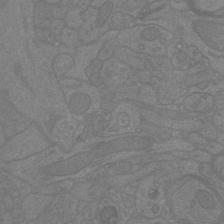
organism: Mouse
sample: Cortical neurons